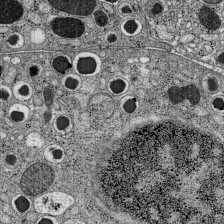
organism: C57BL Mouse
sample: Pancreatic islet